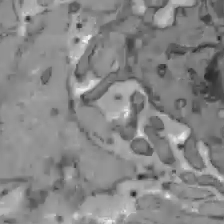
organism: C57BL Mouse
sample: Liver